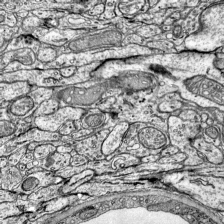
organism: Mouse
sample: Visual Cortex